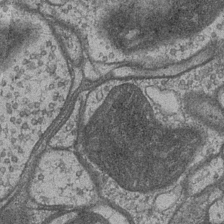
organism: Drosophila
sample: Optic medulla